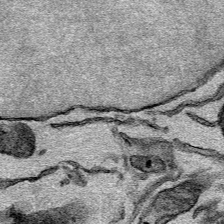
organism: Mouse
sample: Cancer cell death in ED-1 cells